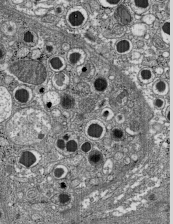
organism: C57BL Mouse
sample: Pancreatic islet